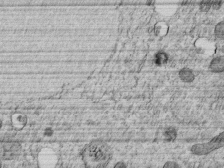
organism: C. elegans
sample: C. elegans embryo early stage